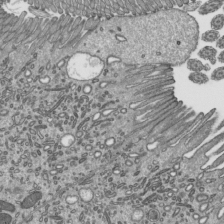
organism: Mouse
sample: Mouse epididymis efferent ductule cilia